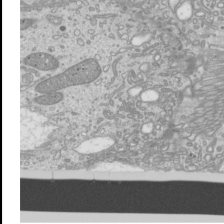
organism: Mouse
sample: Cilia; mouse epididymis